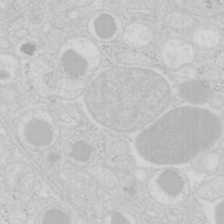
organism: Mouse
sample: Pancreas